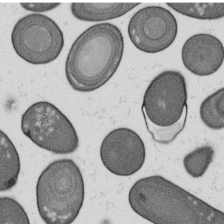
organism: B. subtilis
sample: Bacterial spore